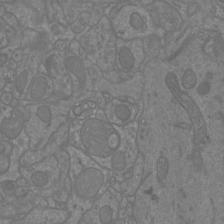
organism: Mouse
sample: Cortical neurons